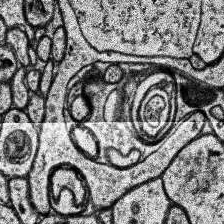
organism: Human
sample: Temporal Lobe